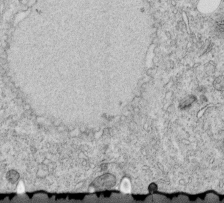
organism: C. elegans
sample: C. elegans embryo early stage